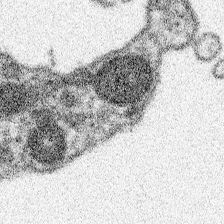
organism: Spongilla lacustris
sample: Neuroid cell